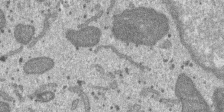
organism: Human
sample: Lung epithelial cells infected with SARS-CoV-2